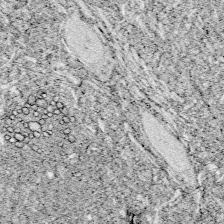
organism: Zebrafish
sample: Whole-Brain